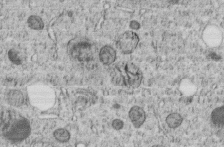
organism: C. elegans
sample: C. elegans embryo early stage